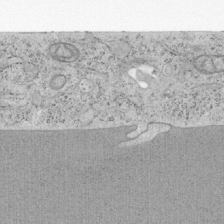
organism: Human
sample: HeLa cells